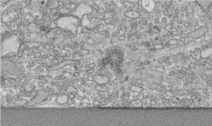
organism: Human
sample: Centriole in RPE cells